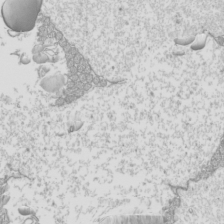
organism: Mouse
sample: Cilia; mouse epididymis